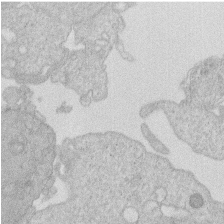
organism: Human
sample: Macrophage cells